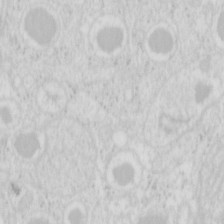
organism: Mouse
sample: Pancreas